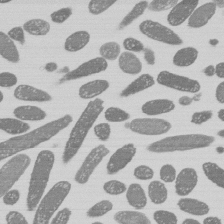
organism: E. coli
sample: Bacterial nucleoid